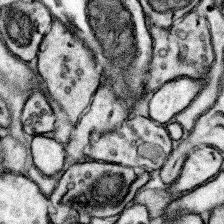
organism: Mouse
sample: Somatosensory cortex neuropil